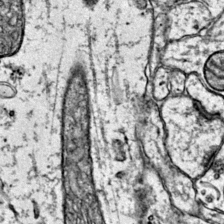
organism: Mouse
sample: Primary visual cortex